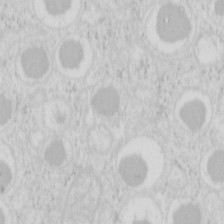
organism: Mouse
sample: Pancreas